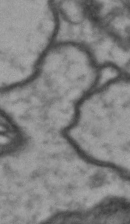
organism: Drosophila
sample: Brain